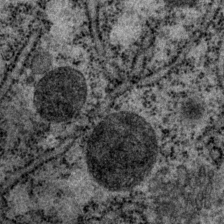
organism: P. pacificus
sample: Pharynx